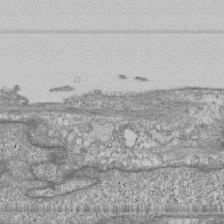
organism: Human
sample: Fibroblast cells